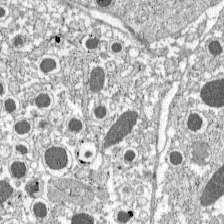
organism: C57BL Mouse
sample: Pancreatic islet